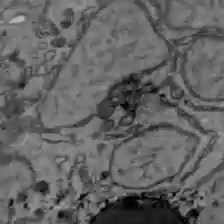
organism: C57BL Mouse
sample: Liver